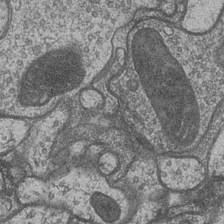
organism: Drosophila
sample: Optic medulla